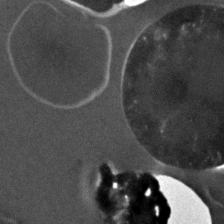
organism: C. elegans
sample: C. elegans embryo